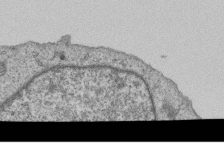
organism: Human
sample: MDA-MB-231 cells